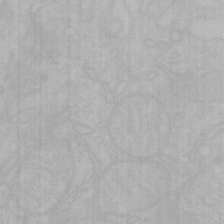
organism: Mouse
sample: Choroid plexus